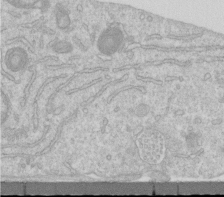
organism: Human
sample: Centriole in RPE cells